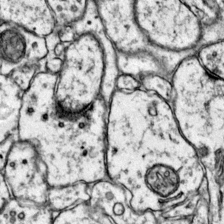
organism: Mouse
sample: Primary visual cortex